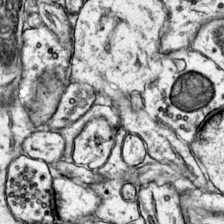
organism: Mouse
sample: Primary visual cortex